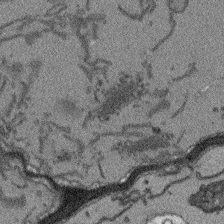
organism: Arabidopsis thaliana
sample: Root tip